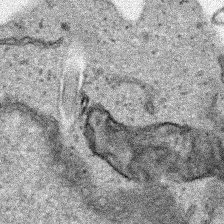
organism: Human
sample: Mitochondria in HCT116 cells